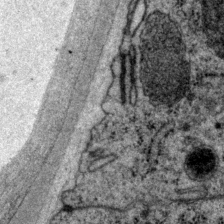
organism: P. pacificus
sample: Pharynx